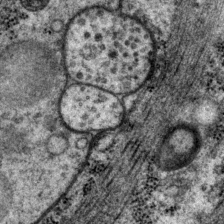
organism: P. pacificus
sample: Pharynx